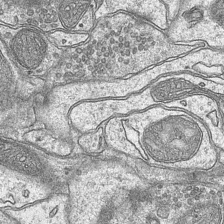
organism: Mouse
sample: CA1 Hippocampus